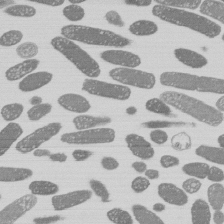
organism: E. coli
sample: Bacterial nucleoid